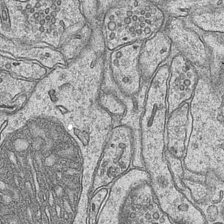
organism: Mouse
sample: CA1 Hippocampus